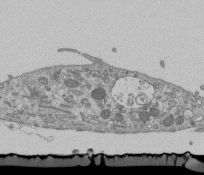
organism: Mouse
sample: ED-1 cell nuclei; centrioles